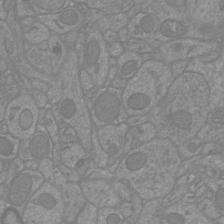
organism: Mouse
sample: Cortical neurons